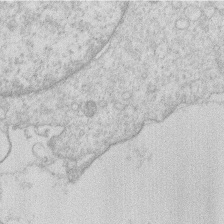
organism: Human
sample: Macrophage cells